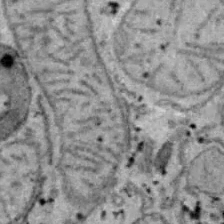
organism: Mouse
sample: Liver from an obese (ob/ob) mouse